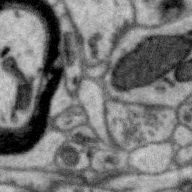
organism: Zebra finch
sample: Brain